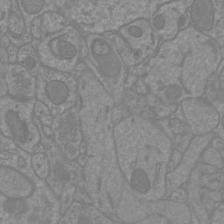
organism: Mouse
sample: Cortical neurons